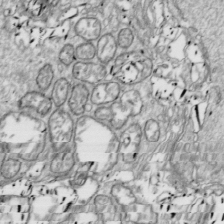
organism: Drosophila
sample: Cell division; meiosis; drosophila spermatocytes